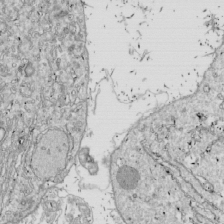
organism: Drosophila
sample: Cell division; meiosis; drosophila spermatocytes